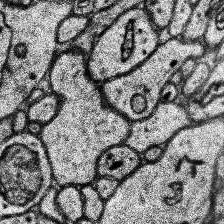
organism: Human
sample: Temporal Lobe